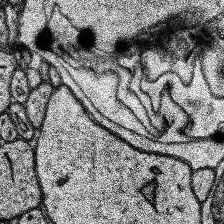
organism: Human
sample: Temporal Lobe